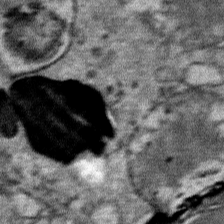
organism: Mouse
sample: Mouse Salivary gland